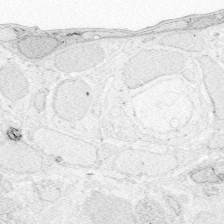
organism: Zebrafish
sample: Whole-Brain